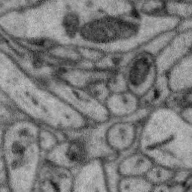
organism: Zebra finch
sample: Brain